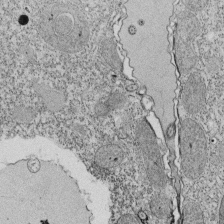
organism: Tetrahymena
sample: Cilia in tetrahymena